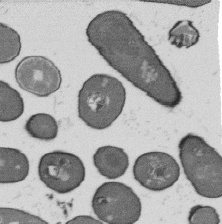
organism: B. subtilis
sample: Bacterial spore